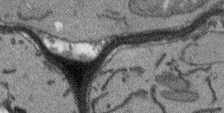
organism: Arabidopsis thaliana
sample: Root tip